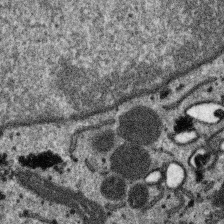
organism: Human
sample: Lung epithelial cells infected with SARS-CoV-2